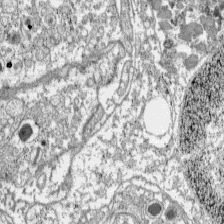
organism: C57BL Mouse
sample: Pancreatic islet